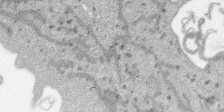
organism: Human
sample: Lung epithelial cells infected with SARS-CoV-2